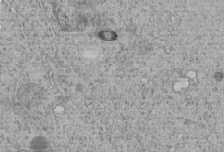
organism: C. elegans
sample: C. elegans embryo early stage